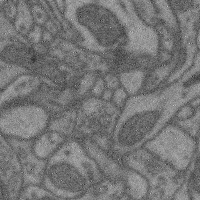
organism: Mouse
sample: Cerebral cortex